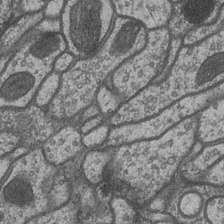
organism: Drosophila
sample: Optic medulla